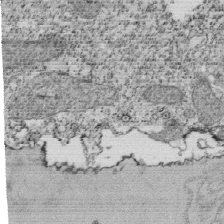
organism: Tetrahymena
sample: Cilia in tetrahymena